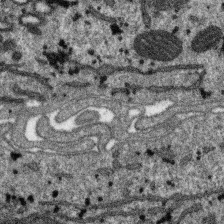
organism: Human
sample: Lung epithelial cells infected with SARS-CoV-2